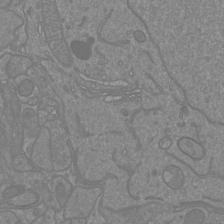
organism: Mouse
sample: Cortical neurons